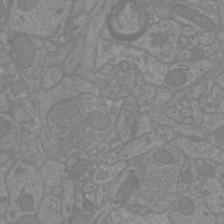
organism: Mouse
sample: Cortical neurons